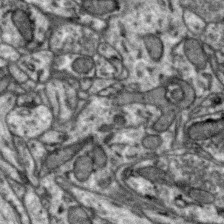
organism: Zebra finch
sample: Brain